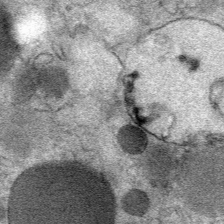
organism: Mouse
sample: Mouse Salivary gland